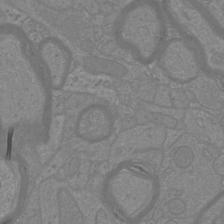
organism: Mouse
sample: Cortical neurons